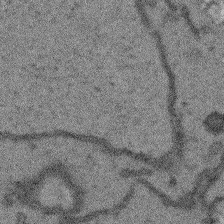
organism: Arabidopsis thaliana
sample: Root tip